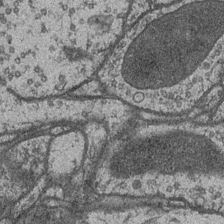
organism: Drosophila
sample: Optic medulla